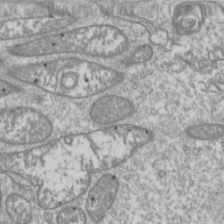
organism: Drosophila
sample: Cell division; meiosis; drosophila spermatocytes